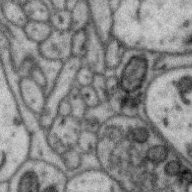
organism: Zebra finch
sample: Brain